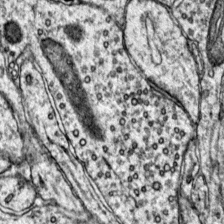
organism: Mouse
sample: Primary visual cortex